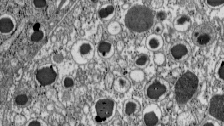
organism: C57BL Mouse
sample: Pancreatic islet